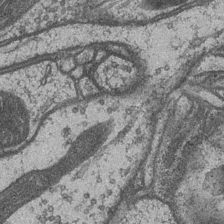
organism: Drosophila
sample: Optic medulla